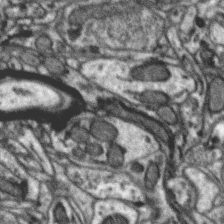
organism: Zebra finch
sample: Brain